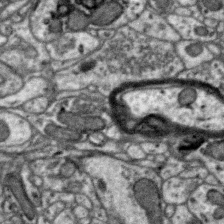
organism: Zebra finch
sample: Brain